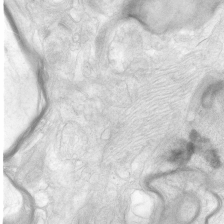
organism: Human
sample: Neocortex